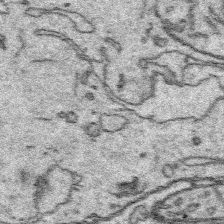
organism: Platynereis dumerilii